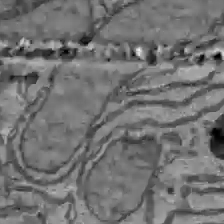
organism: C57BL Mouse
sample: Liver